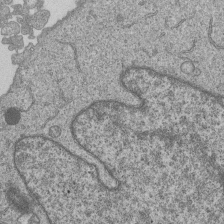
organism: Human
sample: MDA-MB-231 cells